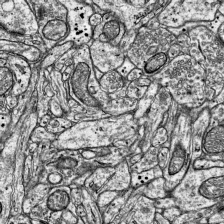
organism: Mouse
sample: Visual Cortex